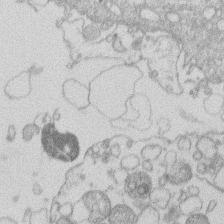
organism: Human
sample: Macrophage cells